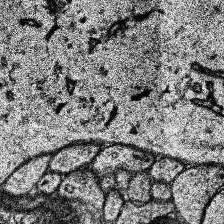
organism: Human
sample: Temporal Lobe